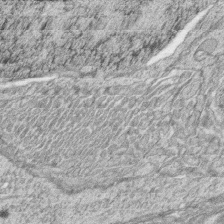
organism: Zebrafish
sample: synaptic ribbons in rod cells and cone cells